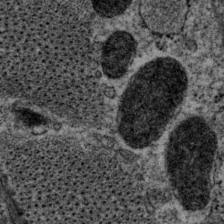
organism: P. pacificus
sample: Pharynx